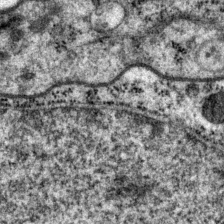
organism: P. pacificus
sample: Pharynx